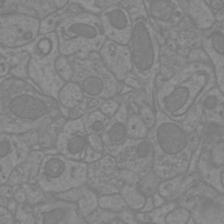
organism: Mouse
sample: Cortical neurons